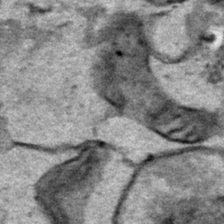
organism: Human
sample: Mitochondria in HCT116 cells